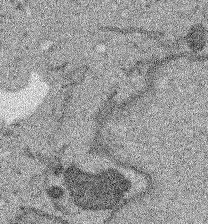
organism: Human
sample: HeLa cells